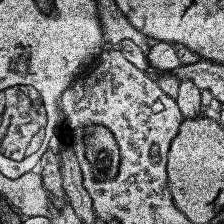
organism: Human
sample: Temporal Lobe